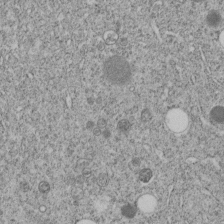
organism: C. elegans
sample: C. elegans embryo early stage